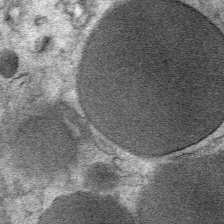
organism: Mouse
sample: Mouse Salivary gland